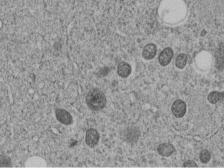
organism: C. elegans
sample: C. elegans embryo early stage